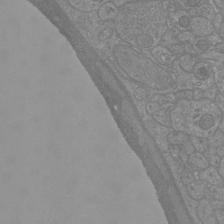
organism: Mouse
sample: Cortical neurons